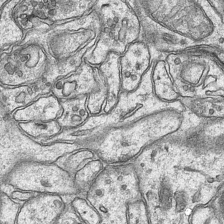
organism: Mouse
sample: CA1 Hippocampus